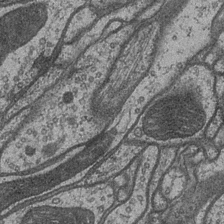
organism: Drosophila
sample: Optic medulla